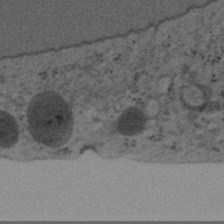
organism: Human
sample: HeLa cells